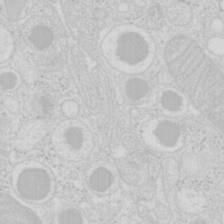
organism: Mouse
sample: Pancreas